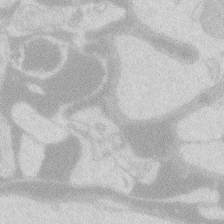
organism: Zebrafish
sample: Macrophage